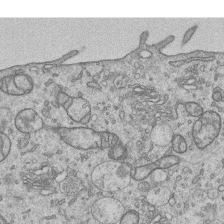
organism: Human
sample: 1205lu cells